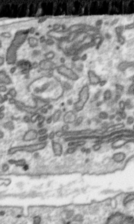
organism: Toxoplasma gondii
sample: Parasites in a vacuole inside a host cell